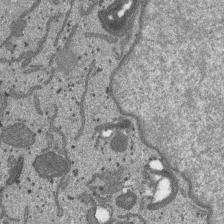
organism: Human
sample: Lung epithelial cells infected with SARS-CoV-2